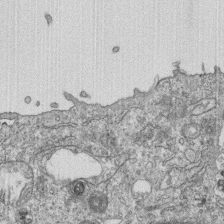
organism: Human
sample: HeLa cell HIV synapse